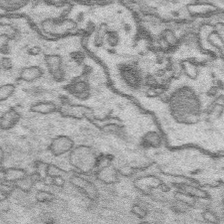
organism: Platynereis dumerilii